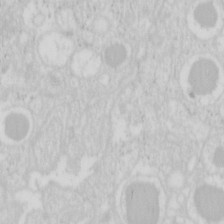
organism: Mouse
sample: Pancreas